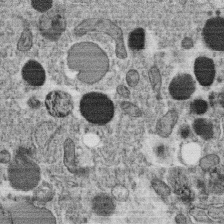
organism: C. elegans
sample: C. elegans oocyte; sperm cells